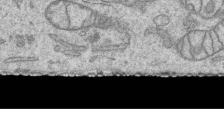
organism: Human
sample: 1205lu cells